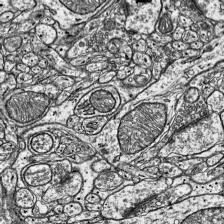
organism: Mouse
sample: Visual Cortex